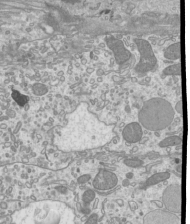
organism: Mouse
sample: Cilia; mouse epididymis